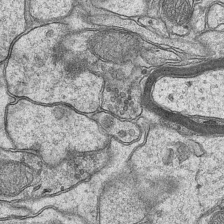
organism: Mouse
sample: CA1 Hippocampus